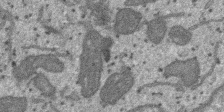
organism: Human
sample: Lung epithelial cells infected with SARS-CoV-2